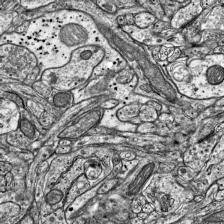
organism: Mouse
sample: Visual Cortex